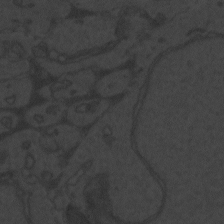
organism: Zebrafish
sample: Macrophage infected with Toxoplasma gondii